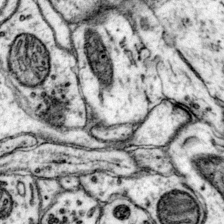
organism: Mouse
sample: Primary visual cortex